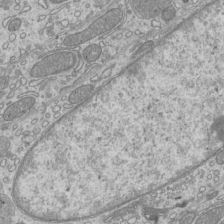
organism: Mouse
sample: Cilia; mouse epididymis